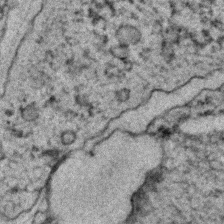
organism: C. elegans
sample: C. elegans embryo